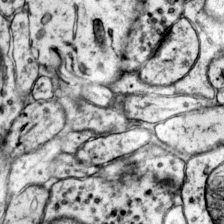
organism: Mouse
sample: Primary visual cortex